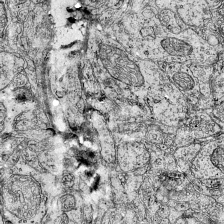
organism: Mouse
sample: Visual Cortex